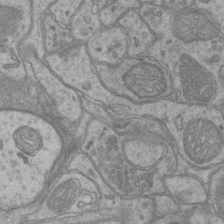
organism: Mouse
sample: CA1 Hippocampus